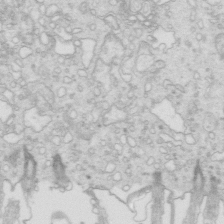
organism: Mouse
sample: Multiciliated cells